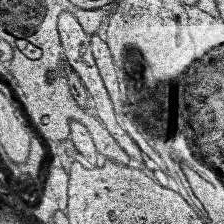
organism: Human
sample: Temporal Lobe